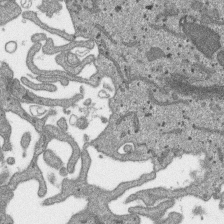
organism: Human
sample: Lung epithelial cells infected with SARS-CoV-2